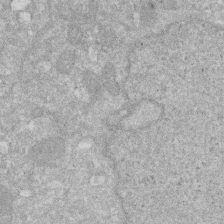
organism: Human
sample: HIV infected U937 cells